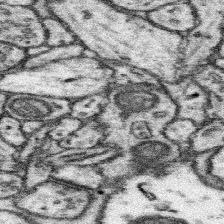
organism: Mouse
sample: Somatosensory cortex neuropil